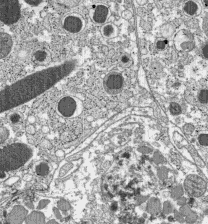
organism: C57BL Mouse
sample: Pancreatic islet